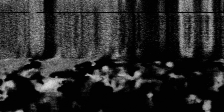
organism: Human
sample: Lung epithelial cells, uninfected (mock) control